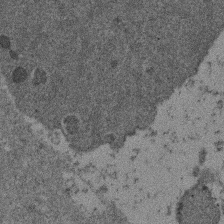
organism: Mouse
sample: Dividing mouse embryo 1 cell stage